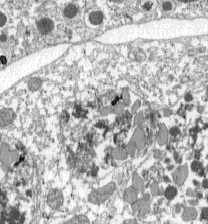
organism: C57BL Mouse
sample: Pancreatic islet